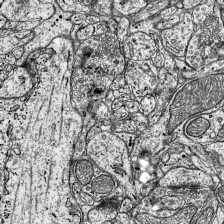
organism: Mouse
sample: Visual Cortex